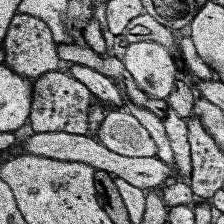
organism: Human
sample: Temporal Lobe